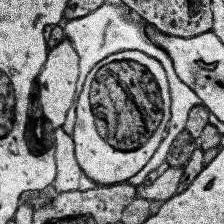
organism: Human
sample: Temporal Lobe